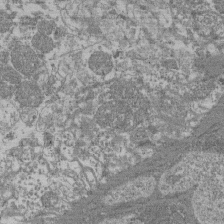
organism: Mouse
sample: Glomerulus